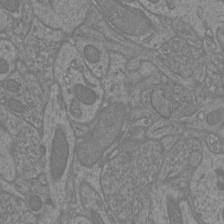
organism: Mouse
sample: Cortical neurons